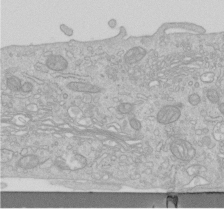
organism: Human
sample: Centriole in RPE cells